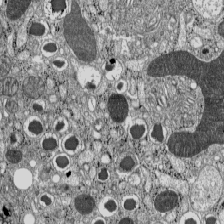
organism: C57BL Mouse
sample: Pancreatic islet